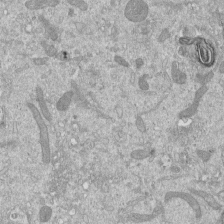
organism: Mouse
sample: ED-1 cell nuclei; centrioles